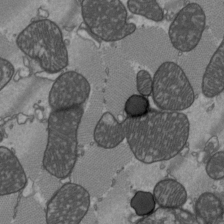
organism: C57BL Mouse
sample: Heart